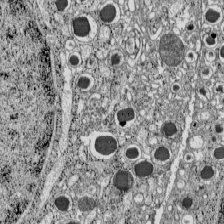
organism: C57BL Mouse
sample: Pancreatic islet